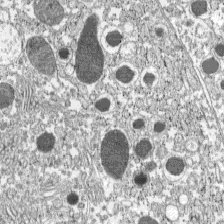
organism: C57BL Mouse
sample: Pancreatic islet